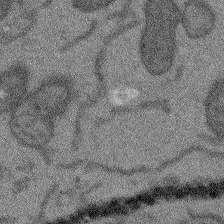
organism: Arabidopsis thaliana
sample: Root tip